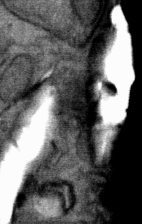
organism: Mouse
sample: Mouse Salivary gland